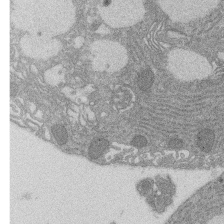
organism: Rat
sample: Salivary granule